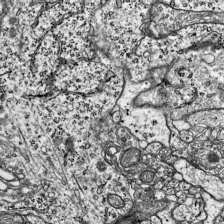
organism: Mouse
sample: Visual Cortex